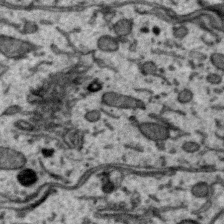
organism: Zebra finch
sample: Brain